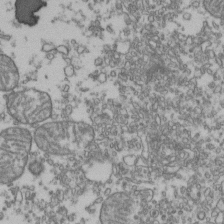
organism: Human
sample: Activated Jurkat CD4+ T cells